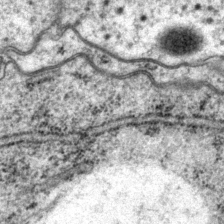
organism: P. pacificus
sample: Pharynx